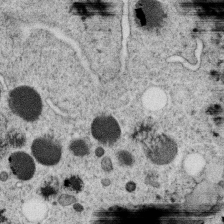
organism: C. elegans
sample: C. elegans oocyte; sperm cells